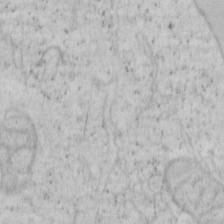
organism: Human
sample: HeLa cells